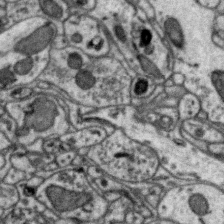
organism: Zebra finch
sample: Brain